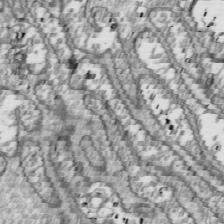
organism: Drosophila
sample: Cell division; meiosis; drosophila spermatocytes